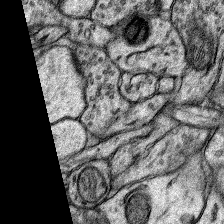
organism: Rat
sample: Hippocampus